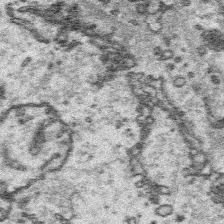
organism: Platynereis dumerilii